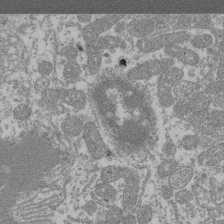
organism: Mouse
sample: Glomerulus